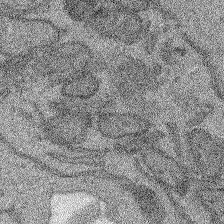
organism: Human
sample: HeLa cells